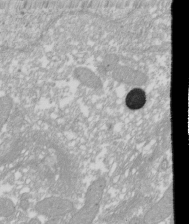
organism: Xenopus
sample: Cilia; centrioles in frog embryo cells